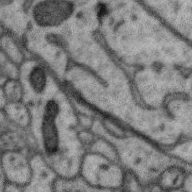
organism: Zebra finch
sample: Brain